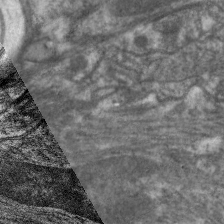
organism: C. elegans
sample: Pharynx